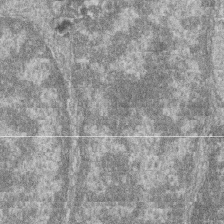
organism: Zebrafish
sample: Cilia; retinal pigment epithelium